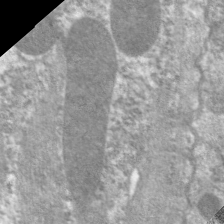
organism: C. elegans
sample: Pharynx